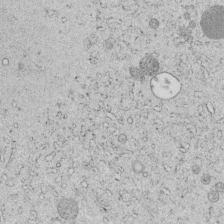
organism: C. elegans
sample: C. elegans embryo early stage